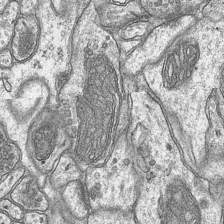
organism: Mouse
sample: CA1 Hippocampus